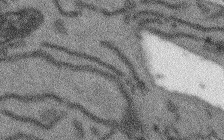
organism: Arabidopsis thaliana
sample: Root tip